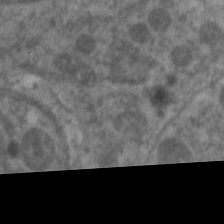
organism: C. elegans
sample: Pharynx